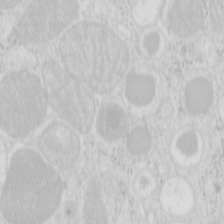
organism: Mouse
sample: Pancreas